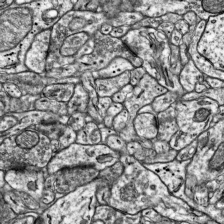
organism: Mouse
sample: Visual Cortex